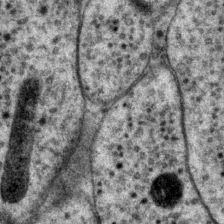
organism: P. pacificus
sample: Pharynx